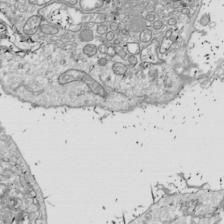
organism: Drosophila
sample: Cell division; meiosis; drosophila spermatocytes